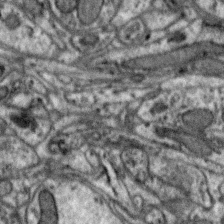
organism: Zebra finch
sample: Brain